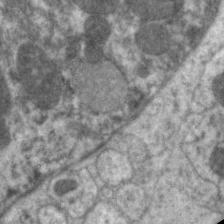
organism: C. elegans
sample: Pharynx